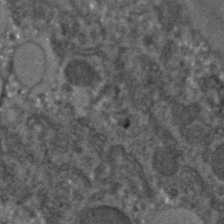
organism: C. elegans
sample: C. elegans embryo